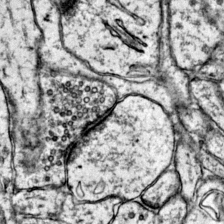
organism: Mouse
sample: Primary visual cortex